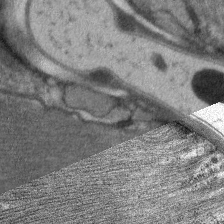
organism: C. elegans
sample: Pharynx